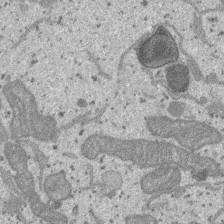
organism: Human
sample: Lung epithelial cells infected with SARS-CoV-2